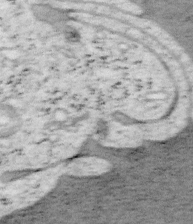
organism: Mouse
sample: OT-I killer T cells with ID8 ovarian cancer cells